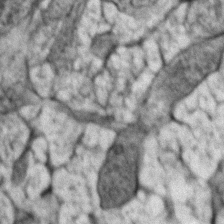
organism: Zebrafish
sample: Zebrafish embryo